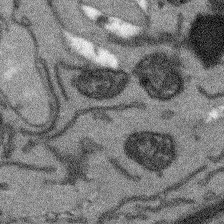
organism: Arabidopsis thaliana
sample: Root tip